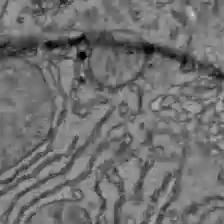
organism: C57BL Mouse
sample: Liver